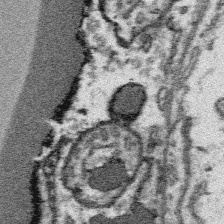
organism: Platynereis dumerilii